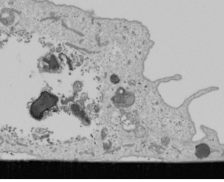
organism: Human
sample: Mitochondria in U2OS cells